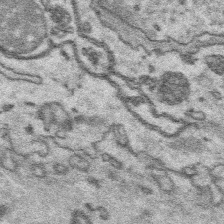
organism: Platynereis dumerilii